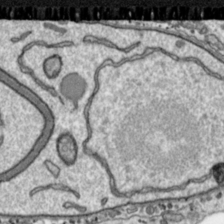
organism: Toxoplasma gondii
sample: Parasites in a vacuole inside a host cell